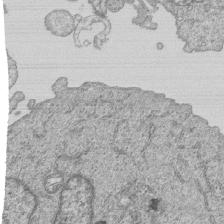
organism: Human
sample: MDA-MB-231 cells